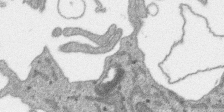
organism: Human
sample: Lung epithelial cells infected with SARS-CoV-2